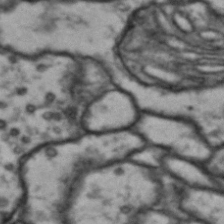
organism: Drosophila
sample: Brain